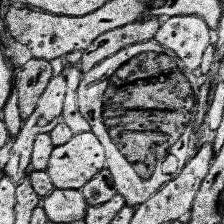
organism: Human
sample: Temporal Lobe